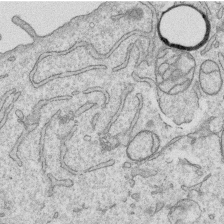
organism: Human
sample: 1205lu cells